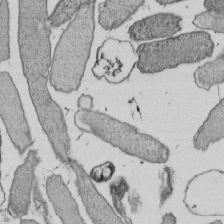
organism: E. coli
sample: Bacterial nucleoid